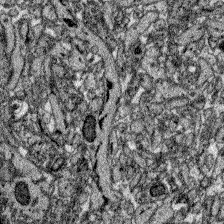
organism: Zebrafish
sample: Larval olfactory bulb